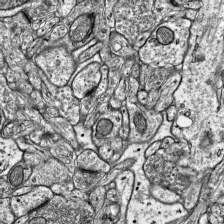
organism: Mouse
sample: Visual Cortex